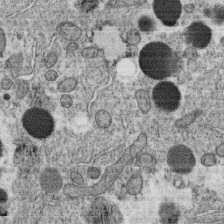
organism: C. elegans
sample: C. elegans oocyte; sperm cells